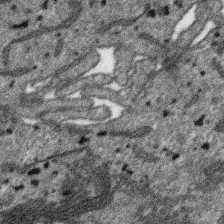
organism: Human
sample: Lung epithelial cells infected with SARS-CoV-2